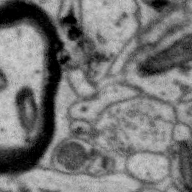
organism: Zebra finch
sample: Brain